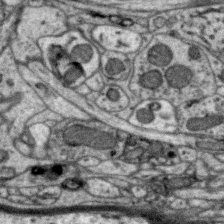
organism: Zebra finch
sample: Brain